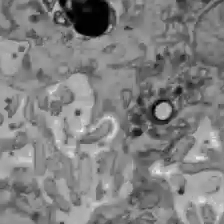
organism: C57BL Mouse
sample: Liver